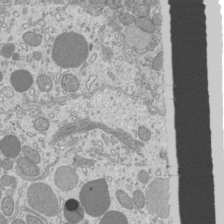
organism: Mouse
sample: Cilia; mouse epididymis